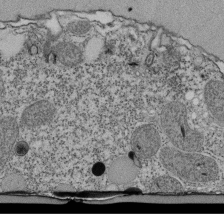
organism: Tetrahymena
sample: Cilia in tetrahymena